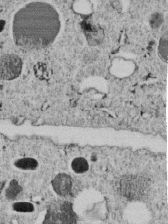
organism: C. elegans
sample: C. elegans embryo early stage